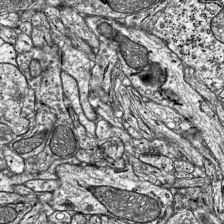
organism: Mouse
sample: Visual Cortex